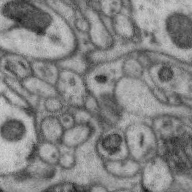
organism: Zebra finch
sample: Brain